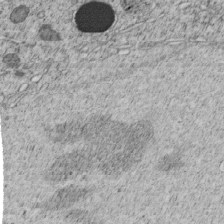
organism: C. elegans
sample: C. elegans embryo early stage